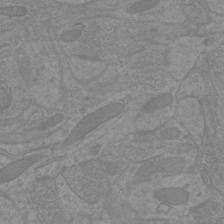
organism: Mouse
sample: Cortical neurons